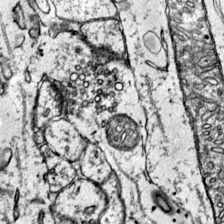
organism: Mouse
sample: Primary visual cortex